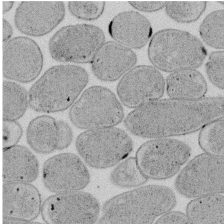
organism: E. coli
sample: Bacterial nucleoid